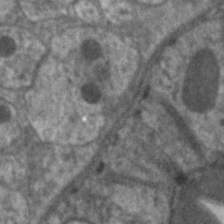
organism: C. elegans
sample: Pharynx